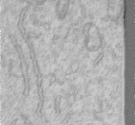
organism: Human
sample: Centriole in RPE cells